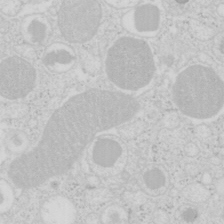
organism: Mouse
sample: Pancreas